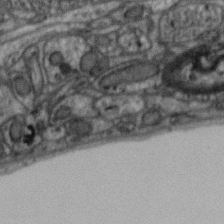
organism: Zebra finch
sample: Brain